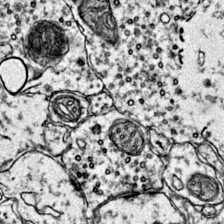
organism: Mouse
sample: Primary visual cortex